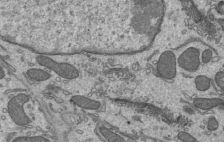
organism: Mouse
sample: Mouse epididymis efferent ductule cilia